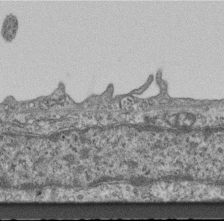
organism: Mouse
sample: Centriole in ependymal cells